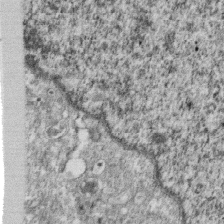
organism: African green monkey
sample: Vero E6 cells infected with SARS-CoV-2